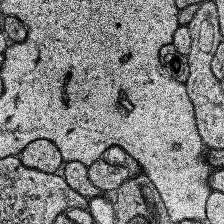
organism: Human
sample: Temporal Lobe